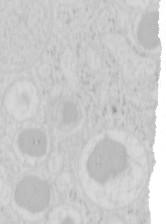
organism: Mouse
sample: Pancreas